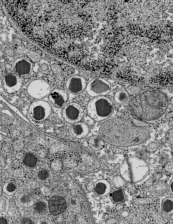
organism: C57BL Mouse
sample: Pancreatic islet